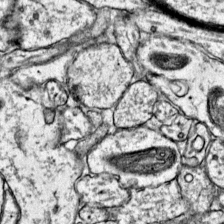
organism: Mouse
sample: Primary visual cortex